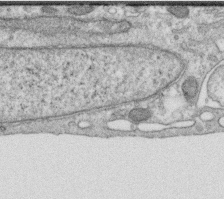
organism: Human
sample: Centriole in RPE cells